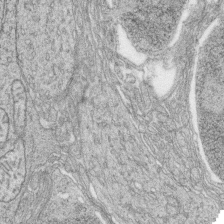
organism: Zebrafish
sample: synaptic ribbons in rod cells and cone cells